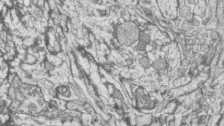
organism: Zebrafish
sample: synaptic ribbons in rod cells and cone cells